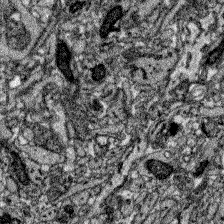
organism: Zebrafish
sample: Larval olfactory bulb